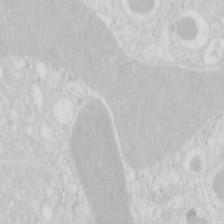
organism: Mouse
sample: Pancreas